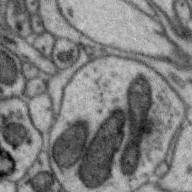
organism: Zebra finch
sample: Brain